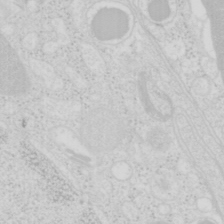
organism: Mouse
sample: Pancreas